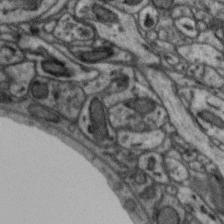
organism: Zebra finch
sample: Brain